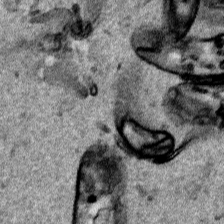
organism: Human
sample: Mitochondria in HCT116 cells